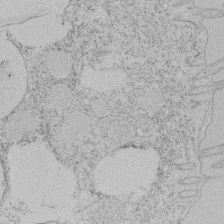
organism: Tetrahymena